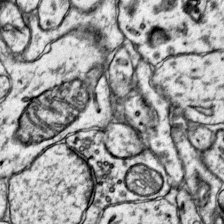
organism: Mouse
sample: Primary visual cortex